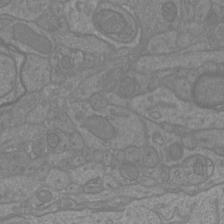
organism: Mouse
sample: Cortical neurons